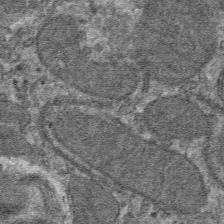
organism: Mouse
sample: Mouse hepatocytes